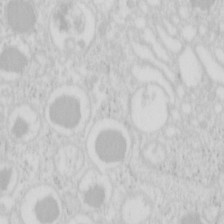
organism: Mouse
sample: Pancreas